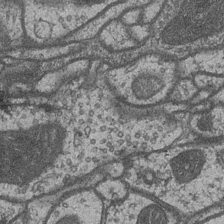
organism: Drosophila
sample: Optic medulla